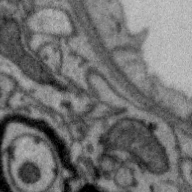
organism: Zebra finch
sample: Brain